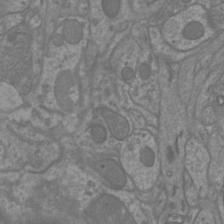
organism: Mouse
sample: Cortical neurons